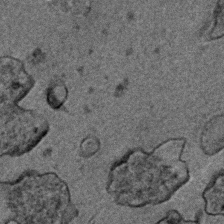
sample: Trachea